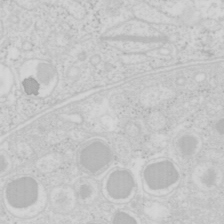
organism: Mouse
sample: Pancreas